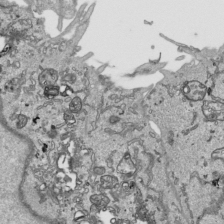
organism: Human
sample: Mitochondria in HCT116 cells